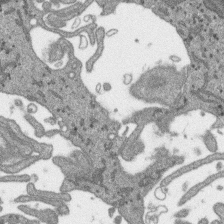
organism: Human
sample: Lung epithelial cells infected with SARS-CoV-2